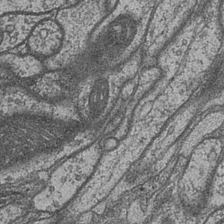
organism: Drosophila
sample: Optic medulla